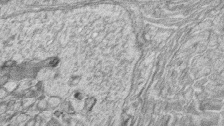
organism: Zebrafish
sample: synaptic ribbons in rod cells and cone cells